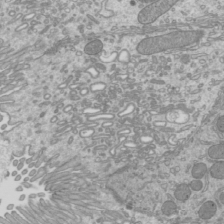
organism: Mouse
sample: Cilia; mouse epididymis